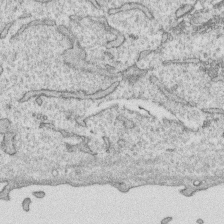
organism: Human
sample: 1205lu cells